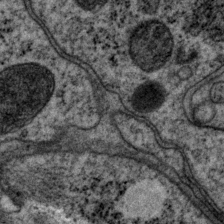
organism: P. pacificus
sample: Pharynx